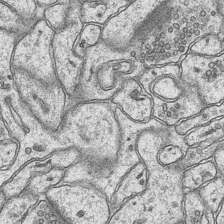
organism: Mouse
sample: CA1 Hippocampus